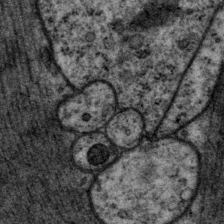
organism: P. pacificus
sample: Pharynx